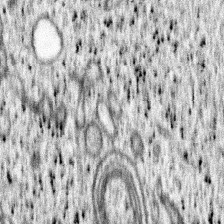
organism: Human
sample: HeLa cells